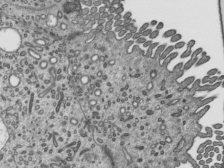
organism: Mouse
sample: Mouse epididymis efferent ductule cilia